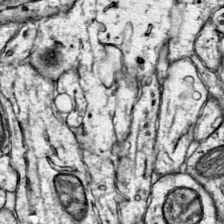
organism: Mouse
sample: Primary visual cortex